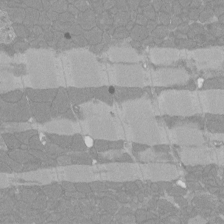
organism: Rat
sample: Left ventricle